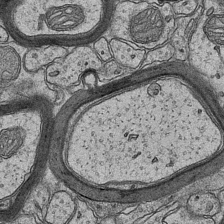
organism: Mouse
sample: CA1 Hippocampus